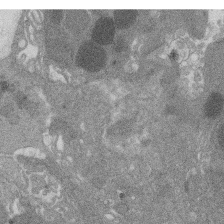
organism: Rat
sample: Salivary granule